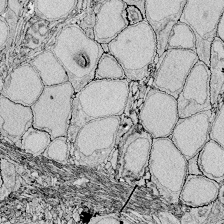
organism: Zebrafish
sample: Whole-Brain